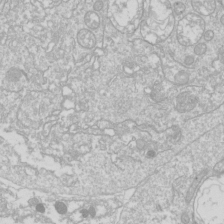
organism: Drosophila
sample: Cell division; meiosis; drosophila spermatocytes